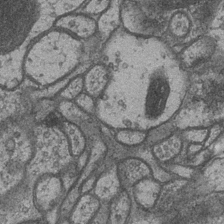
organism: Drosophila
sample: Optic medulla